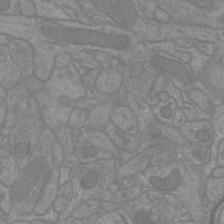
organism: Mouse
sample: Cortical neurons